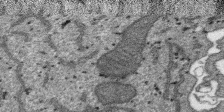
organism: Human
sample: Lung epithelial cells infected with SARS-CoV-2